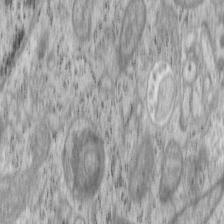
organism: Human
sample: HeLa cells